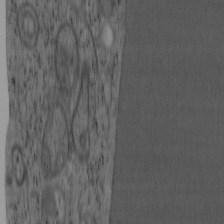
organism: Human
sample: HeLa cells